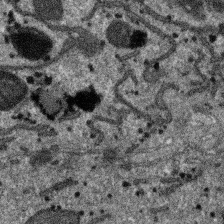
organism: Human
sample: Lung epithelial cells infected with SARS-CoV-2